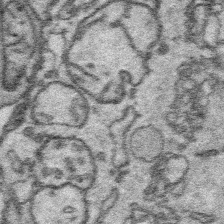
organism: Platynereis dumerilii